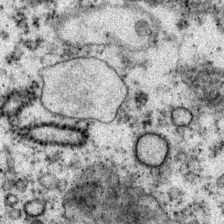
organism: Zebrafish